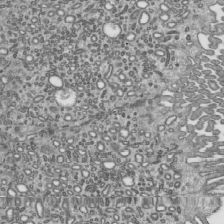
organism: Mouse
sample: Mouse epididymis efferent ductule cilia